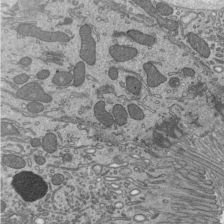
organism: Mouse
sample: Mouse epididymis efferent ductule cilia